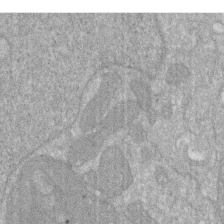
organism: Human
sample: HIV infected U937 cells